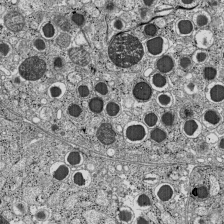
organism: C57BL Mouse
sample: Pancreatic islet